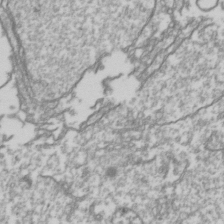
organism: Drosophila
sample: Cell division; meiosis; drosophila spermatocytes